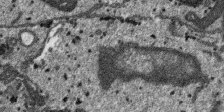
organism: Human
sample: Lung epithelial cells infected with SARS-CoV-2